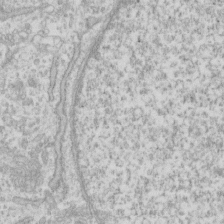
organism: Human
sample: Fibroblast cells